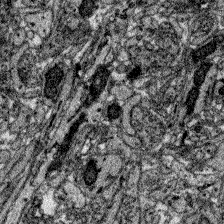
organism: Zebrafish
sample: Larval olfactory bulb